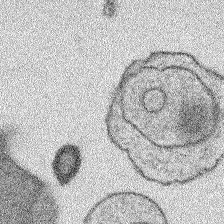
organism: Human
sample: HeLa cells